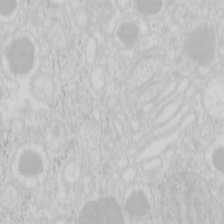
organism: Mouse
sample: Pancreas